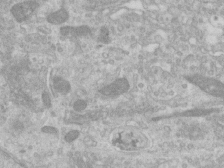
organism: Human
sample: Centriole in RPE cells